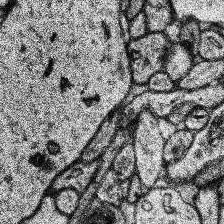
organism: Human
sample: Temporal Lobe